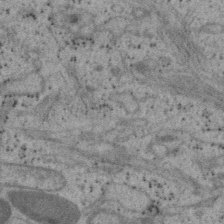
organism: Human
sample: HeLa cells